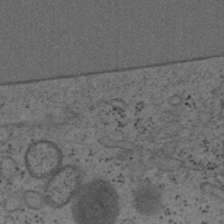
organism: Human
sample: HeLa cells